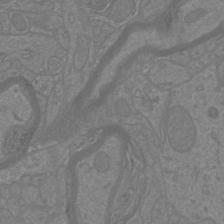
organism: Mouse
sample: Cortical neurons